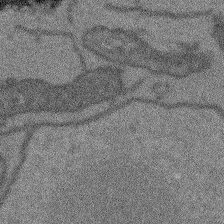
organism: Arabidopsis thaliana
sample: Root tip